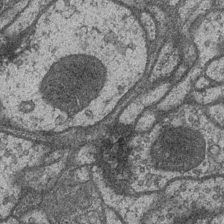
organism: Drosophila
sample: Optic medulla